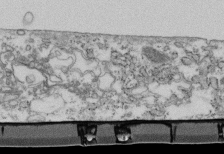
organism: Mouse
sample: Cilia; retinal pigment epithelium